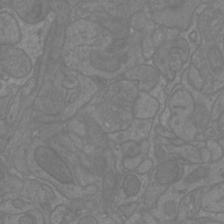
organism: Mouse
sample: Cortical neurons